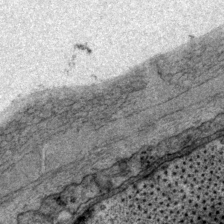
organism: P. pacificus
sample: Pharynx